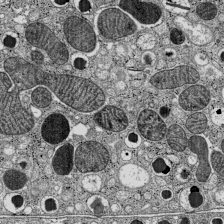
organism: C57BL Mouse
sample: Pancreatic islet